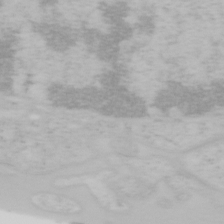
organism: Mouse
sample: OT-I killer T cells with ID8 ovarian cancer cells